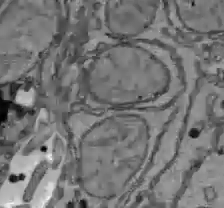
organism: C57BL Mouse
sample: Liver